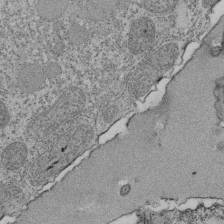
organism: Tetrahymena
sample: Cilia in tetrahymena